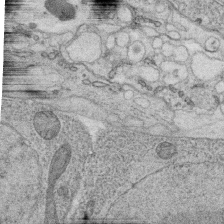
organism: C. elegans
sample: C. elegans oocyte; sperm cells